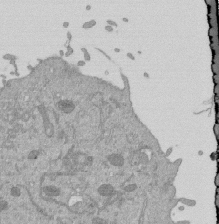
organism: Mouse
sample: ED-1 cell nuclei; centrioles